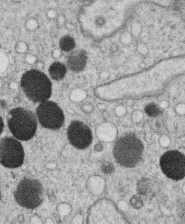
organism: C. elegans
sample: C. elegans oocyte; sperm cells